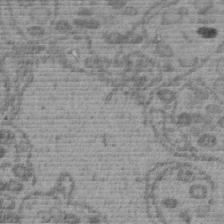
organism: C. elegans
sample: C. elegans embryo early stage